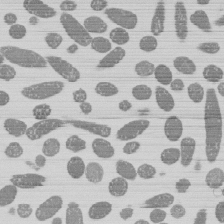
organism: E. coli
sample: Bacterial nucleoid